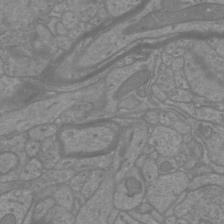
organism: Mouse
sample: Cortical neurons